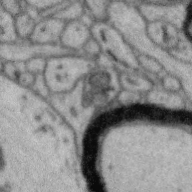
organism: Zebra finch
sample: Brain